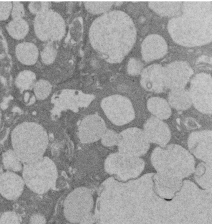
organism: Rat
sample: Salivary granule